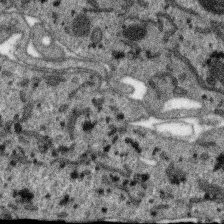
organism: Human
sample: Lung epithelial cells infected with SARS-CoV-2